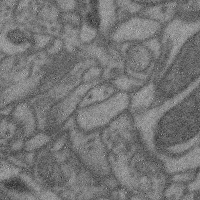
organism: Mouse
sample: Cerebral cortex